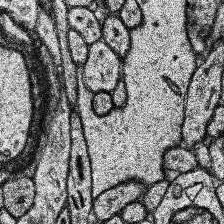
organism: Human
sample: Temporal Lobe